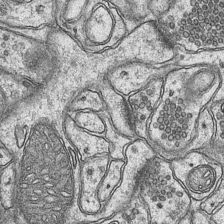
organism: Mouse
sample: CA1 Hippocampus